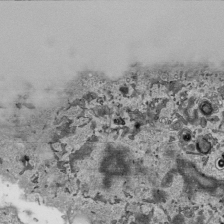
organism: Human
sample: Mitochondria in HCT116 cells